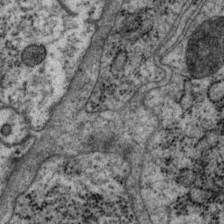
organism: P. pacificus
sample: Pharynx